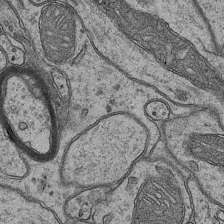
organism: Mouse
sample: CA1 Hippocampus